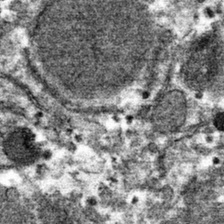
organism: Mouse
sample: Mouse hepatocytes